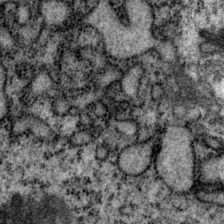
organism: P. pacificus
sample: Pharynx